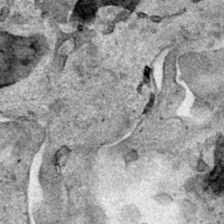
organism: Human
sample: Mitochondria in HCT116 cells